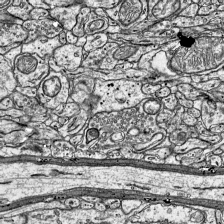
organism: Mouse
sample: Visual Cortex